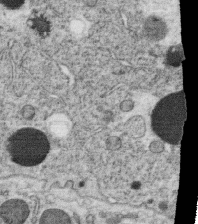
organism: C. elegans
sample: C. elegans oocyte; sperm cells